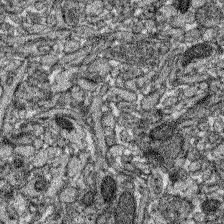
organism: Zebrafish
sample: Larval olfactory bulb